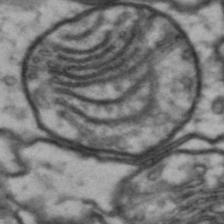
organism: Drosophila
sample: Brain